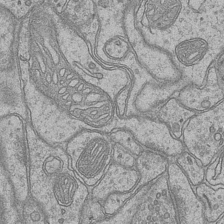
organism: Mouse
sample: CA1 Hippocampus